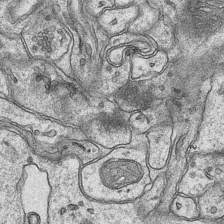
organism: Mouse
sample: CA1 Hippocampus